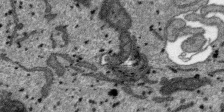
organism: Human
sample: Lung epithelial cells, uninfected (mock) control